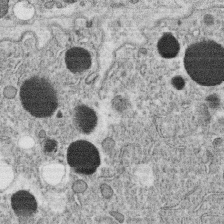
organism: C. elegans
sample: C. elegans oocyte; sperm cells